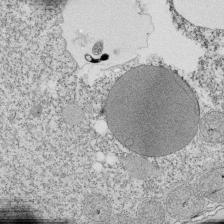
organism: Tetrahymena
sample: Cilia in tetrahymena